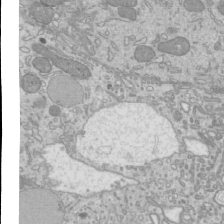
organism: Mouse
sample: Cilia; mouse epididymis